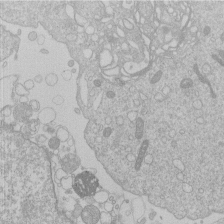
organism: Human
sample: Macrophage cells